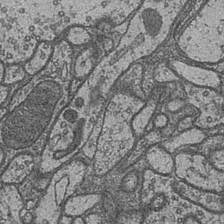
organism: Drosophila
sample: Optic medulla